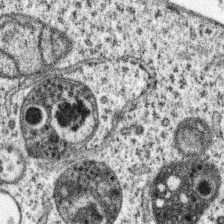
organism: Human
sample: HeLa cells